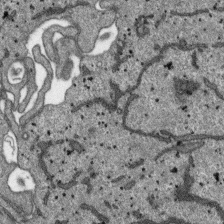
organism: Human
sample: Lung epithelial cells, uninfected (mock) control